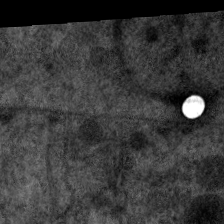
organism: C. elegans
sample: Pharynx